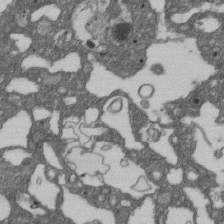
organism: Drosophila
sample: Nephrocyte